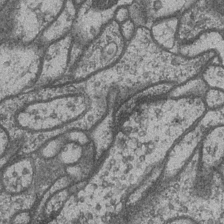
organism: Drosophila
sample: Optic medulla